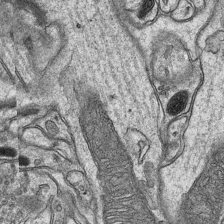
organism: Mouse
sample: CA1 Hippocampus